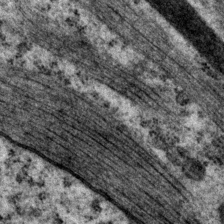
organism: P. pacificus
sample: Pharynx